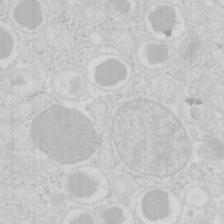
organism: Mouse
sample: Pancreas